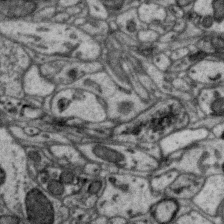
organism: Zebra finch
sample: Brain